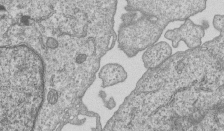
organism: Human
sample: MDA-MB-231 cells